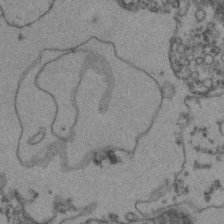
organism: Zebrafish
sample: Zebrafish embryo